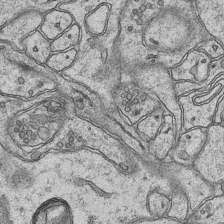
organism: Mouse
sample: CA1 Hippocampus